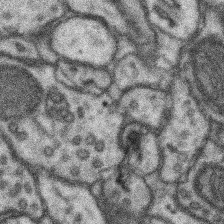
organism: Mouse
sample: Somatosensory cortex neuropil